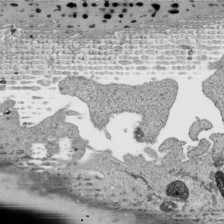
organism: Human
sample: Mitochondria in HCT116 cells